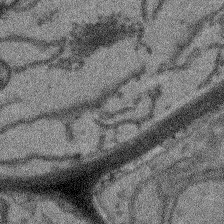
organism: Arabidopsis thaliana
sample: Root tip